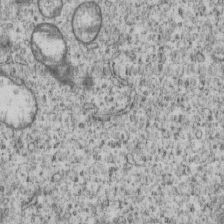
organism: Human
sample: MDA-MB-231 cells